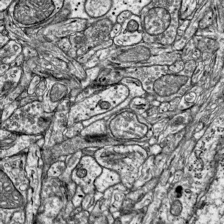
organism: Mouse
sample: Visual Cortex